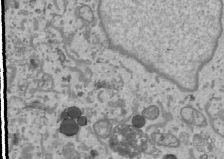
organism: Human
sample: Mitochondria in U2OS cells